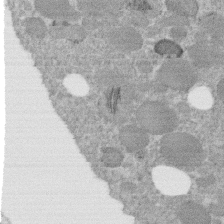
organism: C. elegans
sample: C. elegans embryo early stage